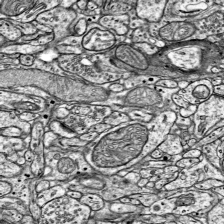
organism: Mouse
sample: Visual Cortex